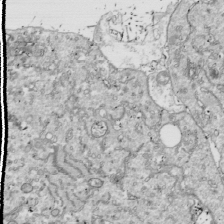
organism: Drosophila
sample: Cell division; meiosis; drosophila spermatocytes